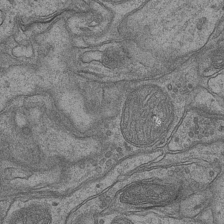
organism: Mouse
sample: CA1 Hippocampus